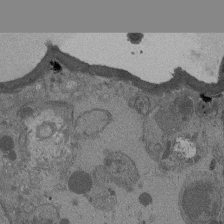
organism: Drosophila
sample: Antenna